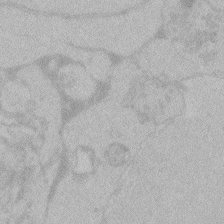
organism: Zebrafish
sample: Macrophage infected with Toxoplasma gondii